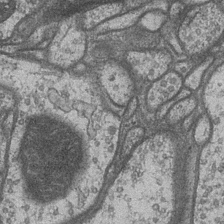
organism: Drosophila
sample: Optic medulla